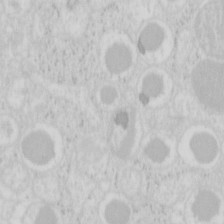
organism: Mouse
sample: Pancreas